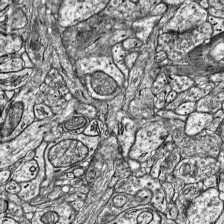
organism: Mouse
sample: Visual Cortex